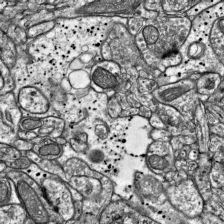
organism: Mouse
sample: Visual Cortex